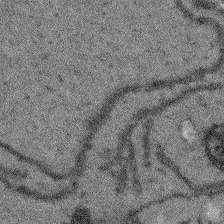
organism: Arabidopsis thaliana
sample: Root tip